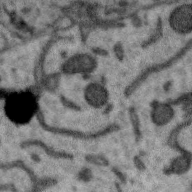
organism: Zebra finch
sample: Brain